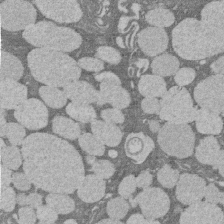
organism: Rat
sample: Salivary granule